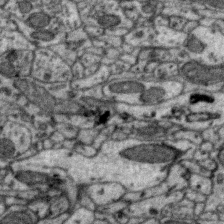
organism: Zebra finch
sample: Brain